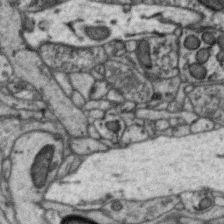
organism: Zebra finch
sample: Brain